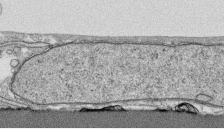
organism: Human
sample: CRL-1474